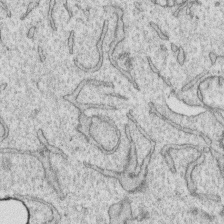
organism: Human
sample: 1205lu cells